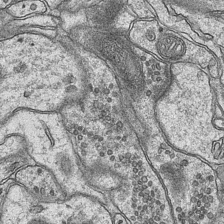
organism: Mouse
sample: CA1 Hippocampus